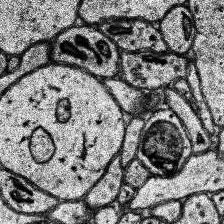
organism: Human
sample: Temporal Lobe